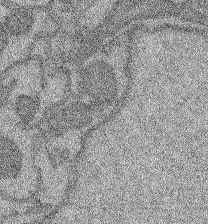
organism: Human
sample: HeLa cells